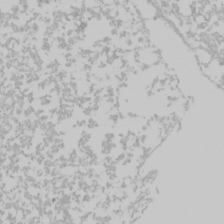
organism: Mouse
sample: Cancer cell death in ED-1 cells